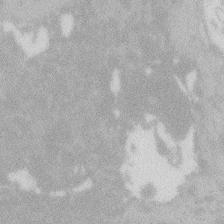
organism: Zebrafish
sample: Macrophage